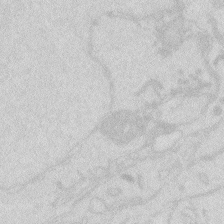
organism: Zebrafish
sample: Macrophage